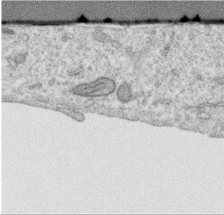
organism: Human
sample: Centriole in RPE cells